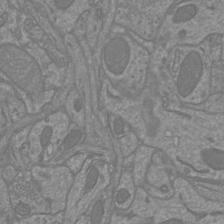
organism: Mouse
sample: Cortical neurons